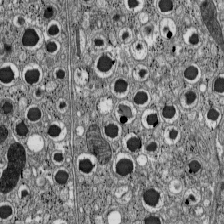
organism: C57BL Mouse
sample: Pancreatic islet